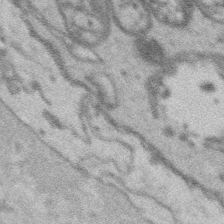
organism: Platynereis dumerilii